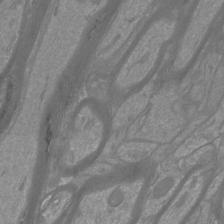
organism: Mouse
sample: Cortical neurons